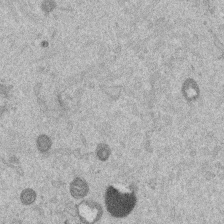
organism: Mouse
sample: Dividing mouse embryo 1 cell stage